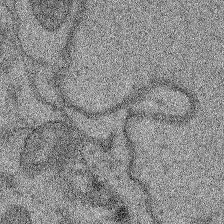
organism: Human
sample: HeLa cells